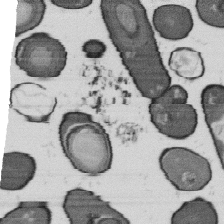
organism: B. subtilis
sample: Bacterial spore